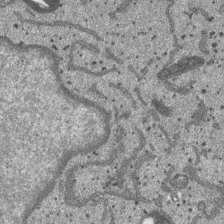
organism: Human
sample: Lung epithelial cells infected with SARS-CoV-2